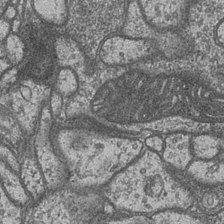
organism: Drosophila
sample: Optic medulla